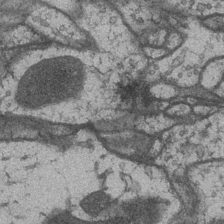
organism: Drosophila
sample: Optic medulla